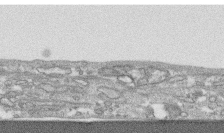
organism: Human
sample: CRL-1474